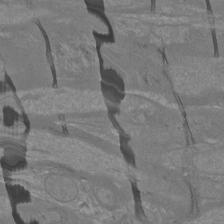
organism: Mouse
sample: Cortical neurons